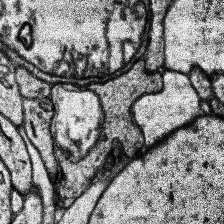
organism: Human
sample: Temporal Lobe